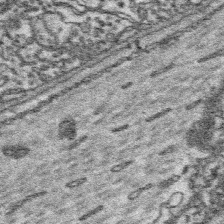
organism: Platynereis dumerilii